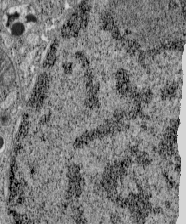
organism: C57BL Mouse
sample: Pancreatic islet